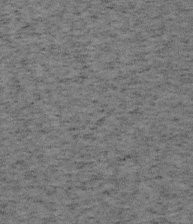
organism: Mouse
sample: OT-I killer T cells with ID8 ovarian cancer cells